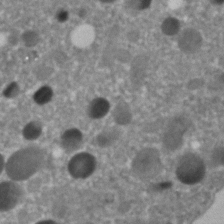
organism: C. elegans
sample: C. elegans embryo